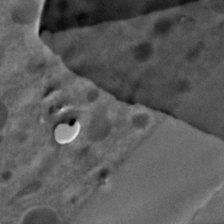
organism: C. elegans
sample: C. elegans embryo